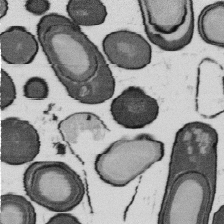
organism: B. subtilis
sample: Bacterial spore